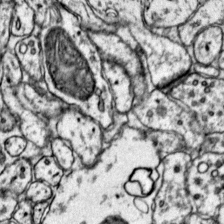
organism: Mouse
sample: Primary visual cortex